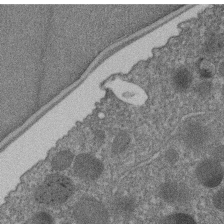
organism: C. elegans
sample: C. elegans embryo early stage